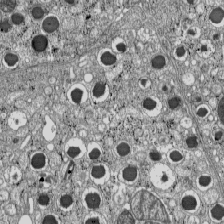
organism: C57BL Mouse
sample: Pancreatic islet